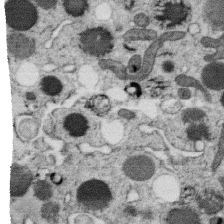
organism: C. elegans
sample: C. elegans oocyte; sperm cells